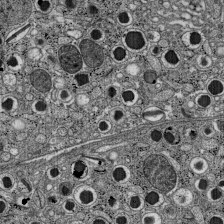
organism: C57BL Mouse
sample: Pancreatic islet